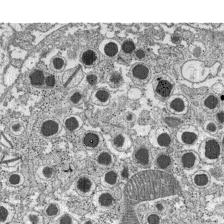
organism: C57BL Mouse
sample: Pancreatic islet